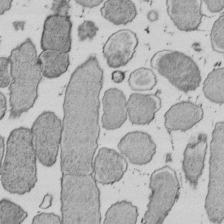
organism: E. coli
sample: Bacterial nucleoid